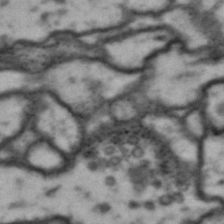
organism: Drosophila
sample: Brain